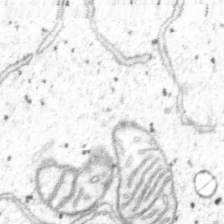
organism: Human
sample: HeLa cells